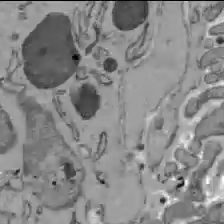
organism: C57BL Mouse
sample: Liver